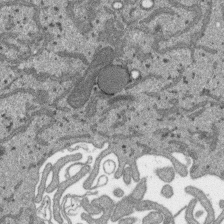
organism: Human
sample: Lung epithelial cells infected with SARS-CoV-2